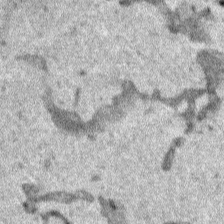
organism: Human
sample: Mitochondria in HCT116 cells